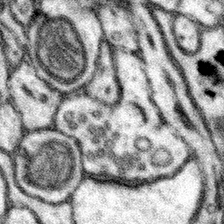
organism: Mouse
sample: Somatosensory cortex neuropil